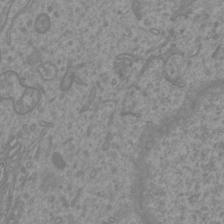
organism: Mouse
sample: Cortical neurons